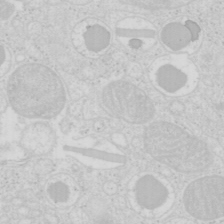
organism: Mouse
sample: Pancreas